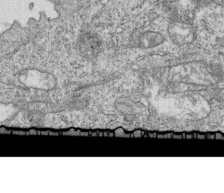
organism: Human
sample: HeLa cell HIV synapse